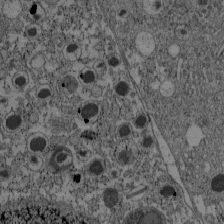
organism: C57BL Mouse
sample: Pancreatic islet